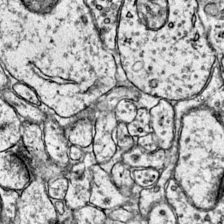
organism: Mouse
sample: Primary visual cortex